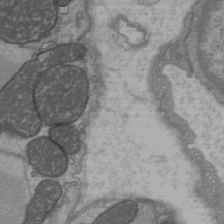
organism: C57BL Mouse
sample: Heart